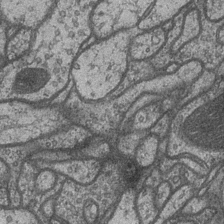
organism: Drosophila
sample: Optic medulla